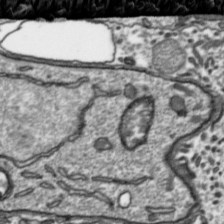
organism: Toxoplasma gondii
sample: Parasites in a vacuole inside a host cell